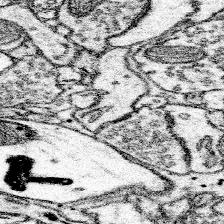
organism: Mouse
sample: Somatosensory cortex neuropil